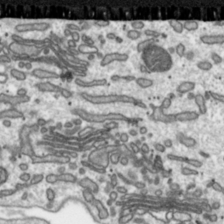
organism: Toxoplasma gondii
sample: Parasites in a vacuole inside a host cell